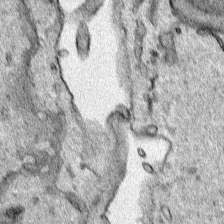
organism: Human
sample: Mitochondria in HCT116 cells